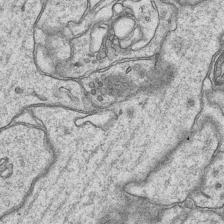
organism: Mouse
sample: CA1 Hippocampus